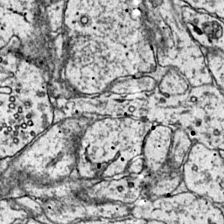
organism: Mouse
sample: Primary visual cortex